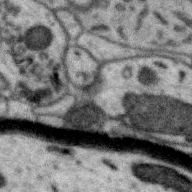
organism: Zebra finch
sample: Brain